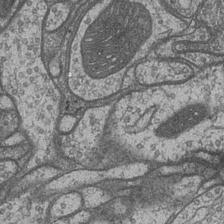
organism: Drosophila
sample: Optic medulla